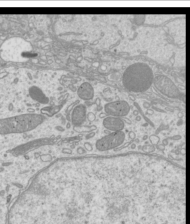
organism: Mouse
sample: Cilia; mouse epididymis